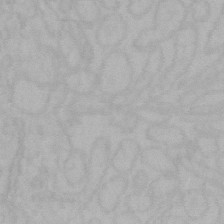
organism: Mouse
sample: Choroid plexus